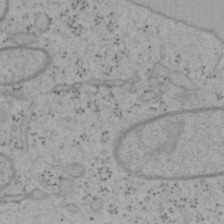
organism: Human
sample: HeLa cells